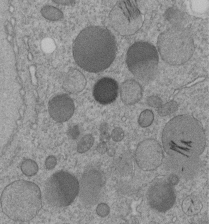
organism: C. elegans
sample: C. elegans embryo early stage